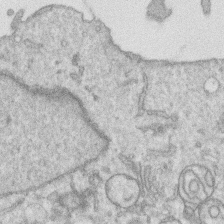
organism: Human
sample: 1205lu cells